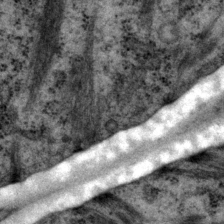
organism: P. pacificus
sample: Pharynx